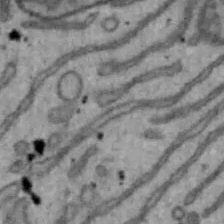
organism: Mouse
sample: Liver